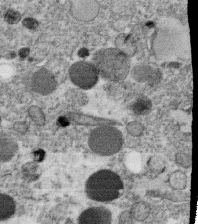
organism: C. elegans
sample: C. elegans oocyte; sperm cells